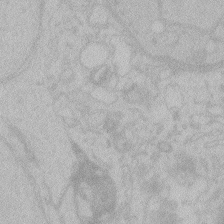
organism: Zebrafish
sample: Macrophage infected with Toxoplasma gondii